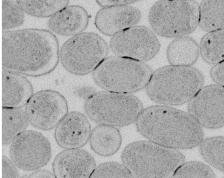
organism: E. coli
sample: Bacterial nucleoid